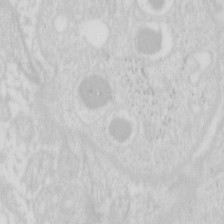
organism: Mouse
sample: Pancreas